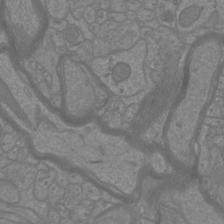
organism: Mouse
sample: Cortical neurons